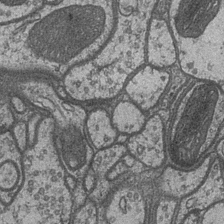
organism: Drosophila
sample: Optic medulla